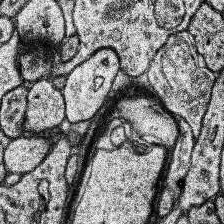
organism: Human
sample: Temporal Lobe